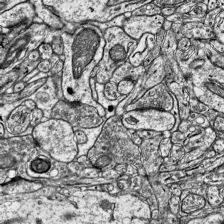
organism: Mouse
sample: Visual Cortex